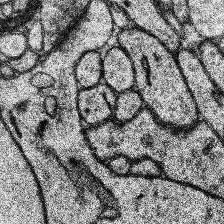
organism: Human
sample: Temporal Lobe